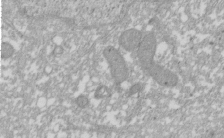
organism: Xenopus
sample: Cilia; centrioles in frog embryo cells